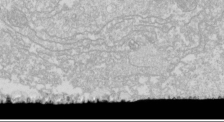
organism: Drosophila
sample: Cell division; meiosis; drosophila spermatocytes